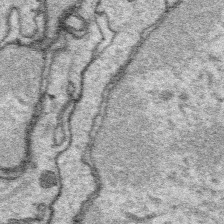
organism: Platynereis dumerilii